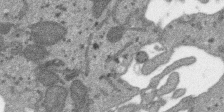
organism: Human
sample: Lung epithelial cells infected with SARS-CoV-2